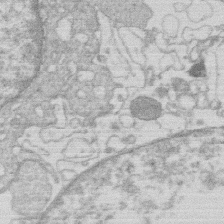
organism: Human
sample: Macrophage cells